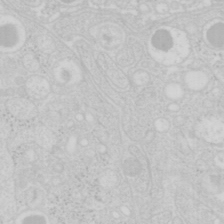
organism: Mouse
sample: Pancreas